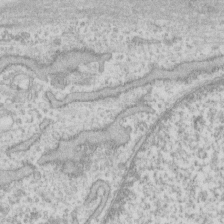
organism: Human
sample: Fibroblast cells